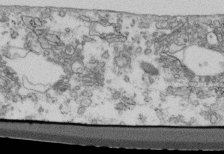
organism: Mouse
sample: Cilia; retinal pigment epithelium